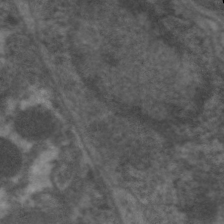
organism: C. elegans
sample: Pharynx